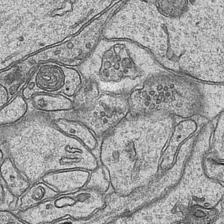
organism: Mouse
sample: CA1 Hippocampus